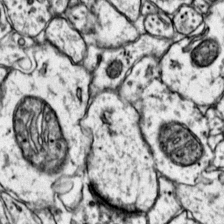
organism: Mouse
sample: Primary visual cortex